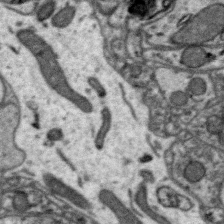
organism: Zebra finch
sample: Brain